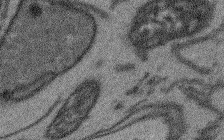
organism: Arabidopsis thaliana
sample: Root tip